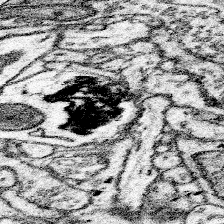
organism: Mouse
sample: Somatosensory cortex neuropil